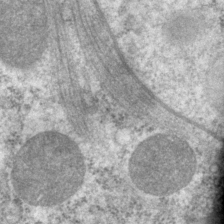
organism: P. pacificus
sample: Pharynx